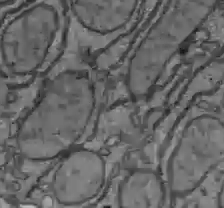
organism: C57BL Mouse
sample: Liver